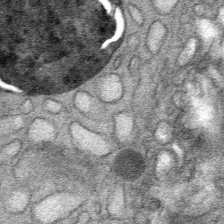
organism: Mouse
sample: Mouse Salivary gland